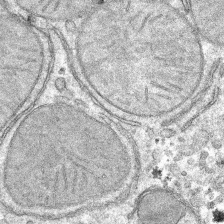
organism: Mouse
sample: Mouse hepatocytes